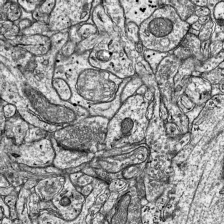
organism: Mouse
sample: Visual Cortex